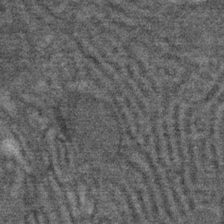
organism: Mouse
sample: Mouse Salivary gland